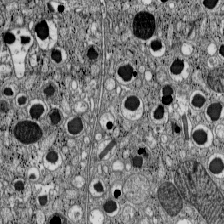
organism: C57BL Mouse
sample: Pancreatic islet